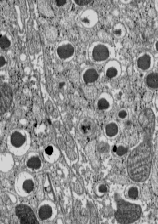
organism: C57BL Mouse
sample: Pancreatic islet